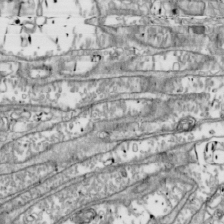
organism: Drosophila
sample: Cell division; meiosis; drosophila spermatocytes